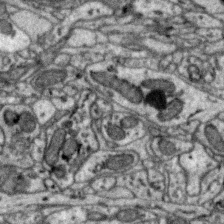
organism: Zebra finch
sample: Brain